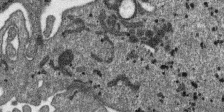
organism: Human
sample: Lung epithelial cells infected with SARS-CoV-2